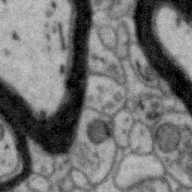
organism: Zebra finch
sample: Brain